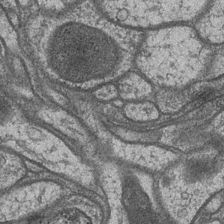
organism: Drosophila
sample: Optic medulla